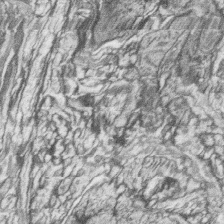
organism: Zebrafish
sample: synaptic ribbons in rod cells and cone cells